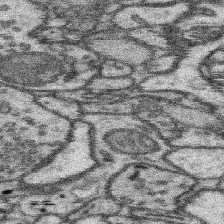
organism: Mouse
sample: Somatosensory cortex neuropil